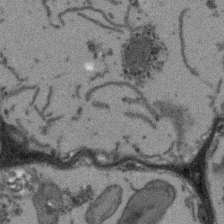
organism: Arabidopsis thaliana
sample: Root tip